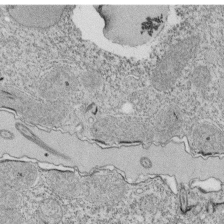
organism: Tetrahymena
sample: Cilia in tetrahymena